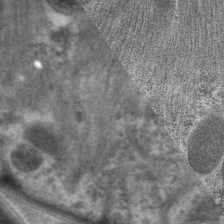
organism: C. elegans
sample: Pharynx